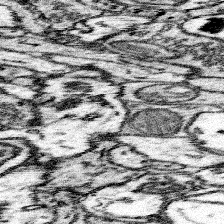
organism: Mouse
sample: Somatosensory cortex neuropil